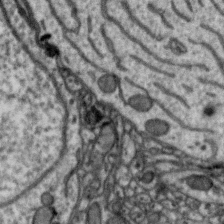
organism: Zebra finch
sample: Brain